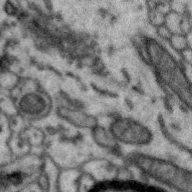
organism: Zebra finch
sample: Brain